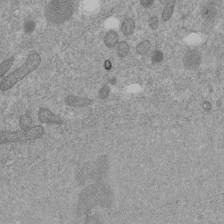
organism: C. elegans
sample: C. elegans embryo early stage